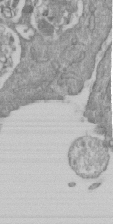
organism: Mouse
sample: ED-1 cell nuclei; centrioles